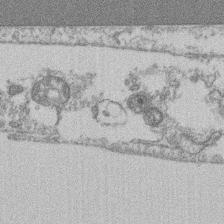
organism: Mouse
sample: T cell stromal cell synapse